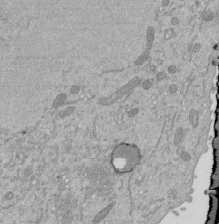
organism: Mouse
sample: ED-1 cell nuclei; centrioles